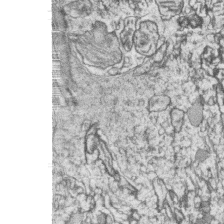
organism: Zebrafish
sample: synaptic ribbons in rod cells and cone cells